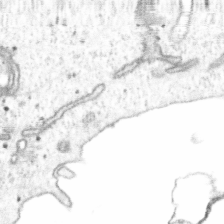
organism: Human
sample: HeLa cells